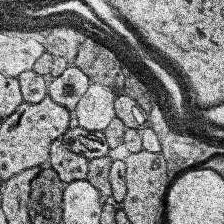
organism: Human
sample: Temporal Lobe